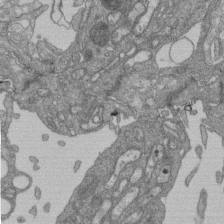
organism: Human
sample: Retinal organoid Rod and Cone cells